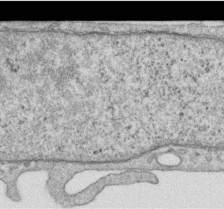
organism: Human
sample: Centriole in RPE cells